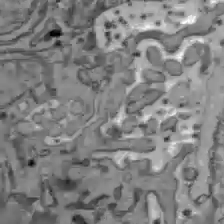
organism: C57BL Mouse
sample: Liver